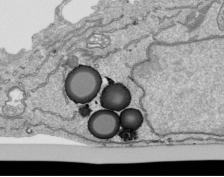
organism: Human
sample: Mitochondria in HCT116 cells